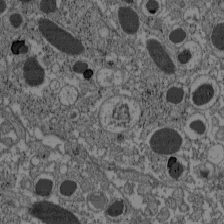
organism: C57BL Mouse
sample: Pancreatic islet